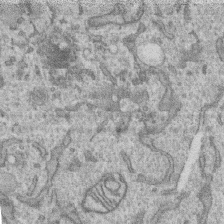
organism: Human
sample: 1205lu cells